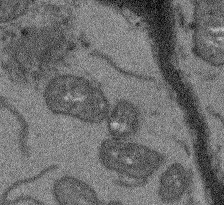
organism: Arabidopsis thaliana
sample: Root tip